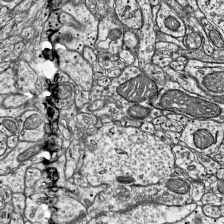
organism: Mouse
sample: Visual Cortex